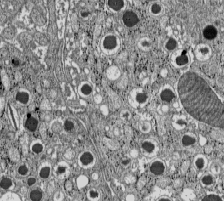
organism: C57BL Mouse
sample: Pancreatic islet